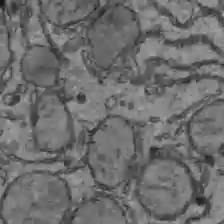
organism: C57BL Mouse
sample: Liver